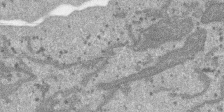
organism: Human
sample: Lung epithelial cells infected with SARS-CoV-2